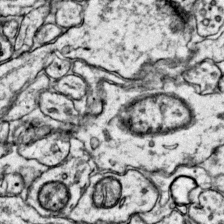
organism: Mouse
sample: Primary visual cortex